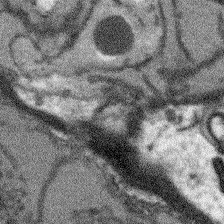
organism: Arabidopsis thaliana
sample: Root tip